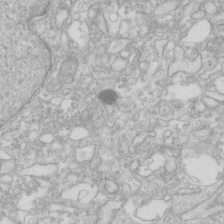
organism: Human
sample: Fibroblast cells